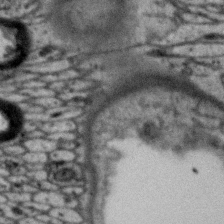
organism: Zebra finch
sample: Brain